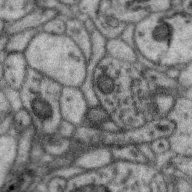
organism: Zebra finch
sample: Brain